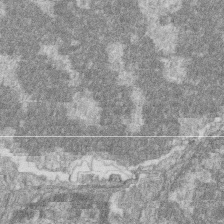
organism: Zebrafish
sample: Cilia; retinal pigment epithelium